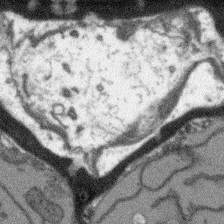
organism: Arabidopsis thaliana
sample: Root tip